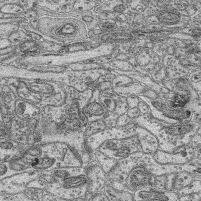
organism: Mouse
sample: Retina